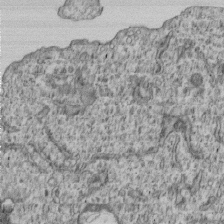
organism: Human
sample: MDA-MB-231 cells